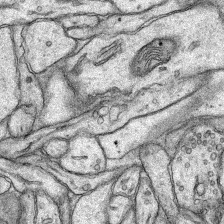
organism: Rat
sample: Hippocampus